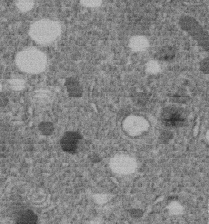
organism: C. elegans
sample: C. elegans embryo early stage